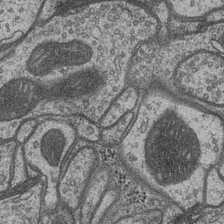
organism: Drosophila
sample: Optic medulla